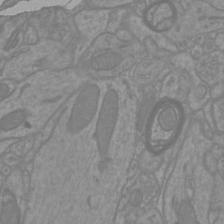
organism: Mouse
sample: Cortical neurons